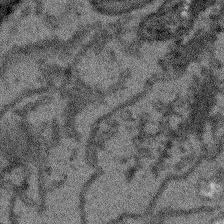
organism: Arabidopsis thaliana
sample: Root tip